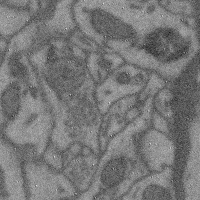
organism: Mouse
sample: Cerebral cortex